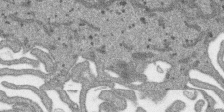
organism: Human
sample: Lung epithelial cells infected with SARS-CoV-2